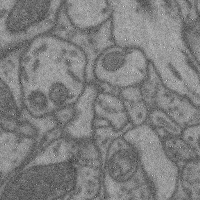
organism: Mouse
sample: Cerebral cortex